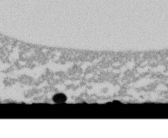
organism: C. elegans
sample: C. elegans embryo early stage